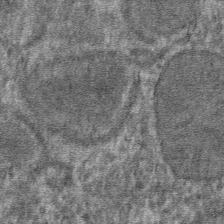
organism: Mouse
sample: Mouse hepatocytes